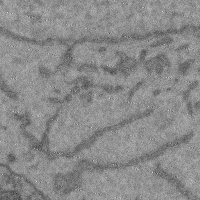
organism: Mouse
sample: Cerebral cortex